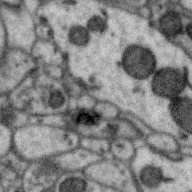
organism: Zebra finch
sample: Brain